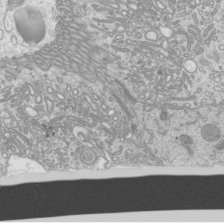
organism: Mouse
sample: Cilia; mouse epididymis